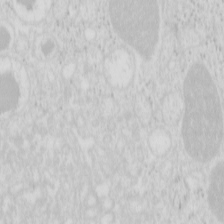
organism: Mouse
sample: Pancreas